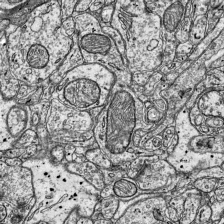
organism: Mouse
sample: Visual Cortex